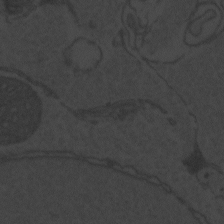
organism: Zebrafish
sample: Macrophage infected with Toxoplasma gondii